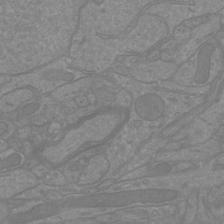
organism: Mouse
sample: Cortical neurons